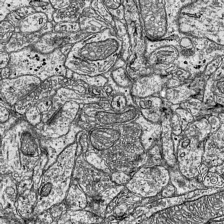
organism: Mouse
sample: Visual Cortex